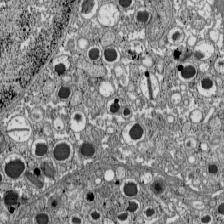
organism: C57BL Mouse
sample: Pancreatic islet